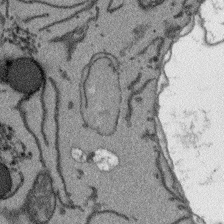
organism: Arabidopsis thaliana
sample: Root tip